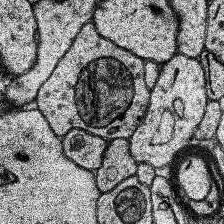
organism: Human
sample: Temporal Lobe